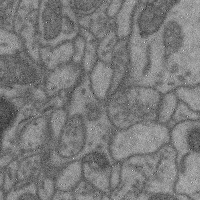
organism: Mouse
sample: Cerebral cortex